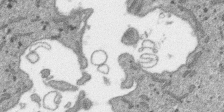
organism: Human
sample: Lung epithelial cells infected with SARS-CoV-2